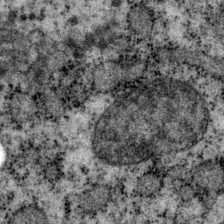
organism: P. pacificus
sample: Pharynx